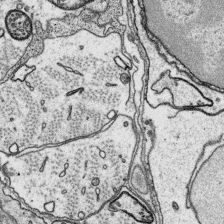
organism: Platynereis dumerilii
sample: Parapodia